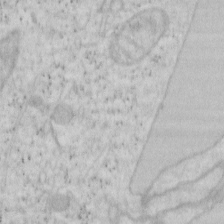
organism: Human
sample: HeLa cells